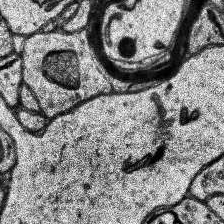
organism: Human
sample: Temporal Lobe